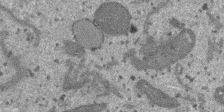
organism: Human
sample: Lung epithelial cells infected with SARS-CoV-2